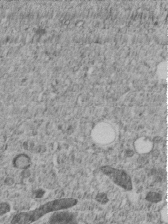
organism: C. elegans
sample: C. elegans embryo early stage